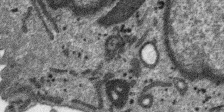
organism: Human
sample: Lung epithelial cells infected with SARS-CoV-2